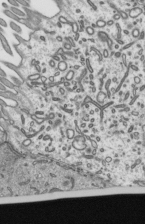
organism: Mouse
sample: Mouse epididymis efferent ductule cilia